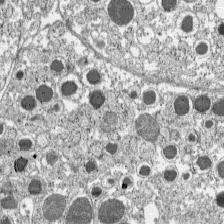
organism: C57BL Mouse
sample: Pancreatic islet